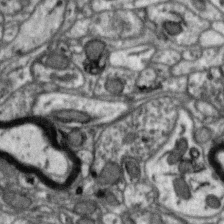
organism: Zebra finch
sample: Brain